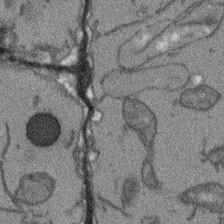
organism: Arabidopsis thaliana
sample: Root tip